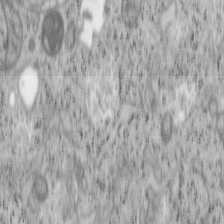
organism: Human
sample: HeLa cells